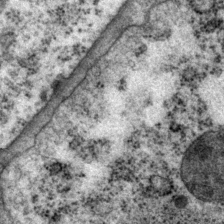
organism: P. pacificus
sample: Pharynx